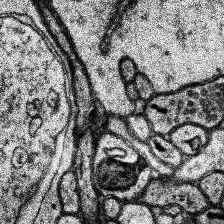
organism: Human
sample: Temporal Lobe